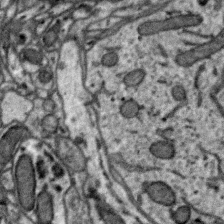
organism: Zebra finch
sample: Brain